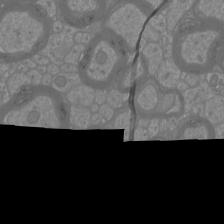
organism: Mouse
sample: Cortical neurons